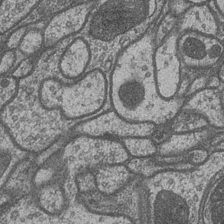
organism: Drosophila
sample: Optic medulla